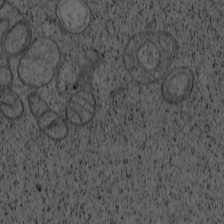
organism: African green monkey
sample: COS-7 cells